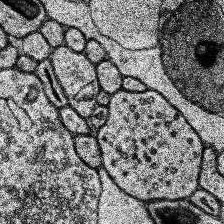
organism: Human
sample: Temporal Lobe